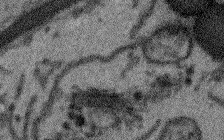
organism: Arabidopsis thaliana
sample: Root tip